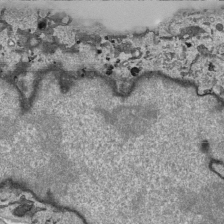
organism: Human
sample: Mitochondria in HCT116 cells